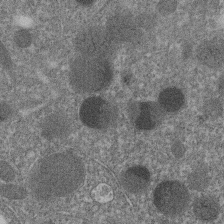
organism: C. elegans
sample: C. elegans embryo early stage